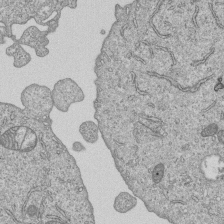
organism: Human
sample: MDA-MB-231 cells